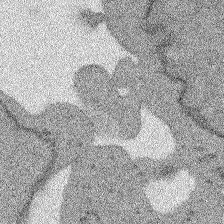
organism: Human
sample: HeLa cells